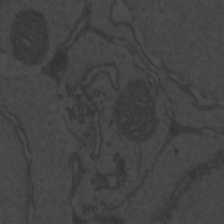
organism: Zebrafish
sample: Macrophage infected with Toxoplasma gondii